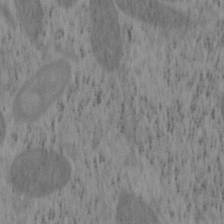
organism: Mouse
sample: OT-I killer T cells with ID8 ovarian cancer cells